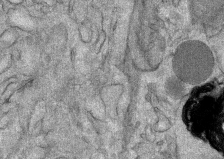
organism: Mouse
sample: Mouse Salivary gland